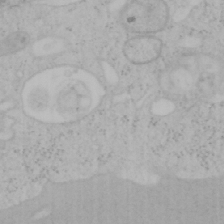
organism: Mouse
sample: OT-I killer T cells with ID8 ovarian cancer cells